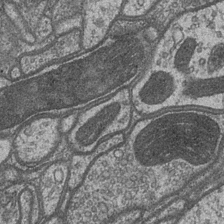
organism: Drosophila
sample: Optic medulla